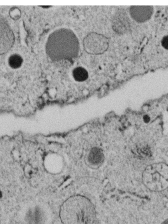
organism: C. elegans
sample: C. elegans embryo early stage